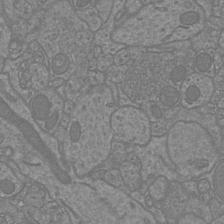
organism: Mouse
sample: Cortical neurons